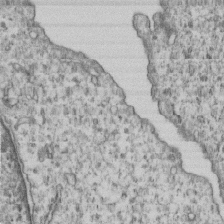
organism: Human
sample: MDA-MB-231 cells